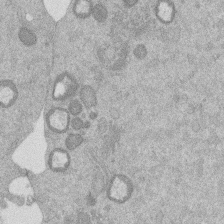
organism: Mouse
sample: Dividing mouse embryo 1 cell stage